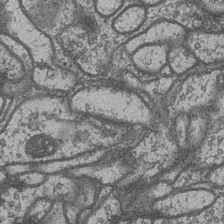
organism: Drosophila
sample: Optic medulla